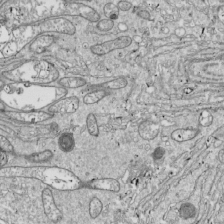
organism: Drosophila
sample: Cell division; meiosis; drosophila spermatocytes